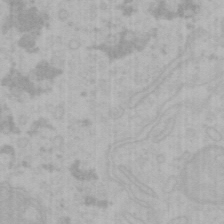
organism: Mouse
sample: Choroid plexus